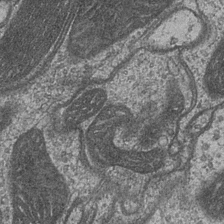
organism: Drosophila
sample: Optic medulla